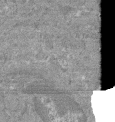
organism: Mouse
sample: Glomerulus